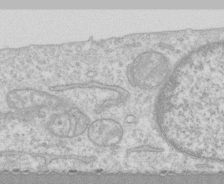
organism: Human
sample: CRL-1474